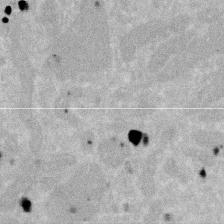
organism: Human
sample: HIV infected U937 cells